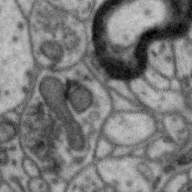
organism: Zebra finch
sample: Brain